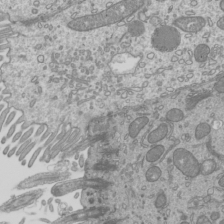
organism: Mouse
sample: Cilia; mouse epididymis